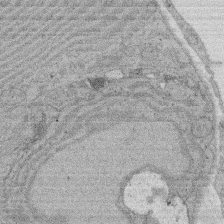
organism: Rat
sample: Salivary granule